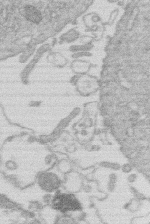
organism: Human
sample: Macrophage cells